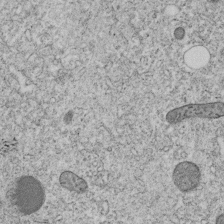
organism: C. elegans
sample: C. elegans embryo early stage